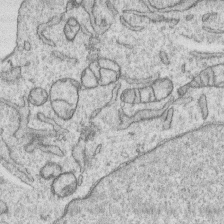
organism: Human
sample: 1205lu cells